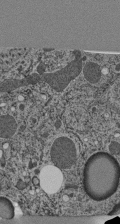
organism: C. elegans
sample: C. elegans pharynx